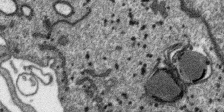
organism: Human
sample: Lung epithelial cells infected with SARS-CoV-2